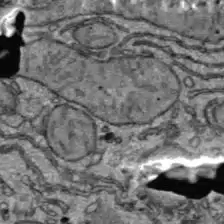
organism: C57BL Mouse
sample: Liver